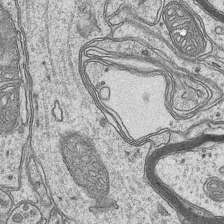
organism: Mouse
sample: CA1 Hippocampus